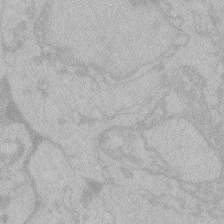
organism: Zebrafish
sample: Macrophage infected with Toxoplasma gondii